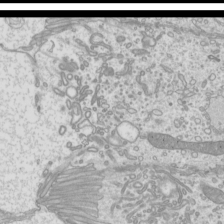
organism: Mouse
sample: Cilia; mouse epididymis